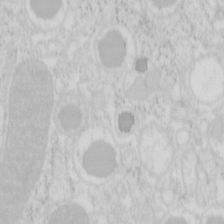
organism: Mouse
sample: Pancreas